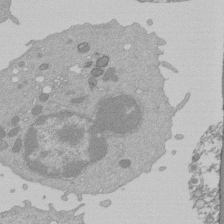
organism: Mouse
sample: Activated Pmel transgenic CD8+ T Cells